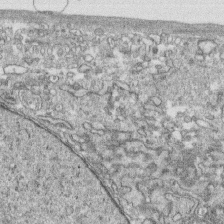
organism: Human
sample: CRL-1474